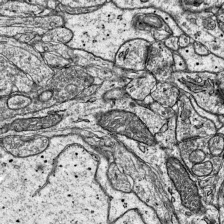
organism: Mouse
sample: Visual Cortex